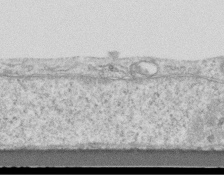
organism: Mouse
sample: Centriole in ependymal cells